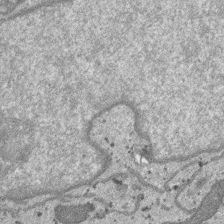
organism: Human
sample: Lung epithelial cells infected with SARS-CoV-2